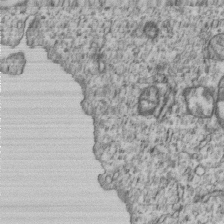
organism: Human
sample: MDA-MB-231 cells